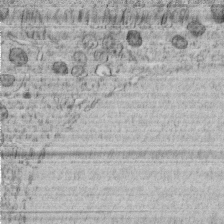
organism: C. elegans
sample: C. elegans embryo early stage